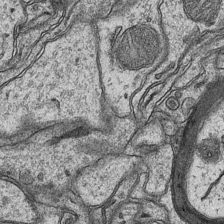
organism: Mouse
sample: CA1 Hippocampus